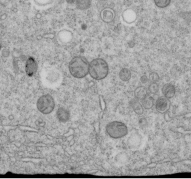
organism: C. elegans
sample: C. elegans embryo early stage